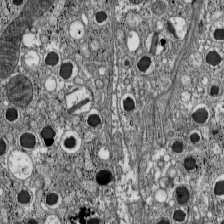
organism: C57BL Mouse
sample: Pancreatic islet